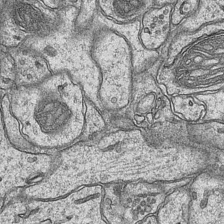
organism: Mouse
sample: CA1 Hippocampus